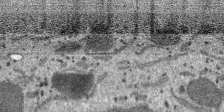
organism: Human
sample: Lung epithelial cells infected with SARS-CoV-2